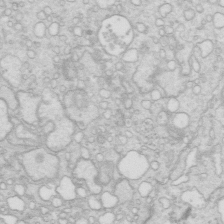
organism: Mouse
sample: Multiciliated cells